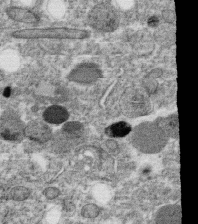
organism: C. elegans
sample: C. elegans oocyte; sperm cells